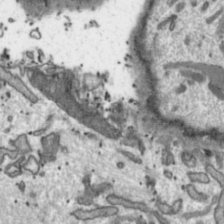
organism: Toxoplasma gondii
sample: Parasites in a vacuole inside a host cell